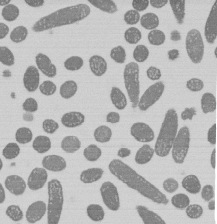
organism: E. coli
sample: Bacterial nucleoid